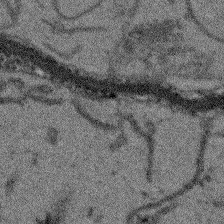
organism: Arabidopsis thaliana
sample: Root tip